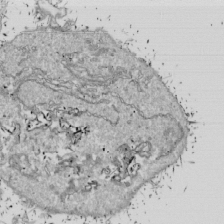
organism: Drosophila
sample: Cell division; meiosis; drosophila spermatocytes